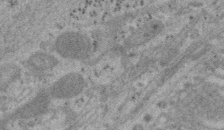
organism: Human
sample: HeLa cells